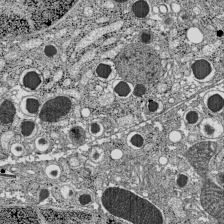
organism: C57BL Mouse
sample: Pancreatic islet